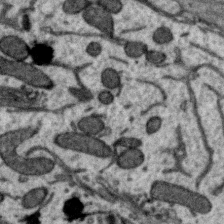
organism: Zebra finch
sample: Brain